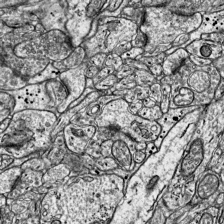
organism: Mouse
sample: Visual Cortex